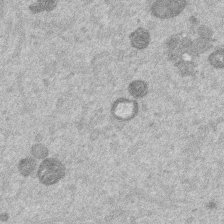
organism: Mouse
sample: Dividing mouse embryo 1 cell stage